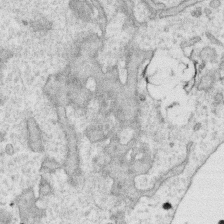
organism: Human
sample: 1205lu cells